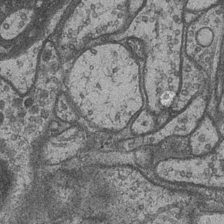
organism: Drosophila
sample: Optic medulla